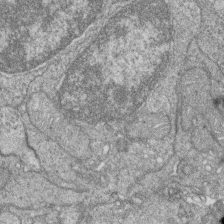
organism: Zebrafish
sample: Cilia; retinal pigment epithelium